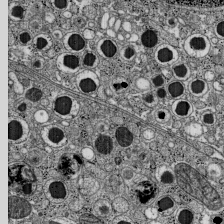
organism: C57BL Mouse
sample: Pancreatic islet